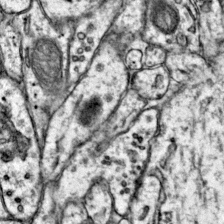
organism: Mouse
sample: Primary visual cortex